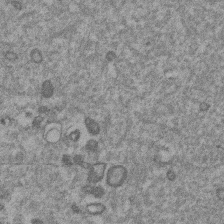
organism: Mouse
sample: Dividing mouse embryo 1 cell stage